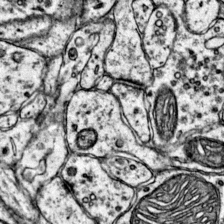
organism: Mouse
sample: Primary visual cortex